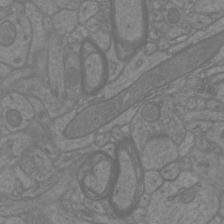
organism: Mouse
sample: Cortical neurons